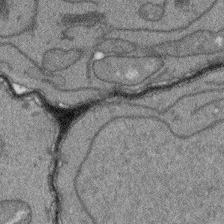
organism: Arabidopsis thaliana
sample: Root tip